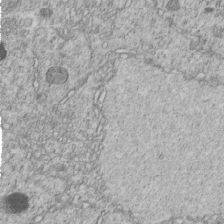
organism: C. elegans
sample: C. elegans embryo early stage